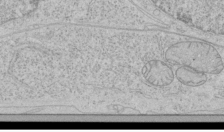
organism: Human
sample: Mitochondria in HCT116 cells